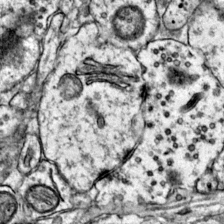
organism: Mouse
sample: Primary visual cortex